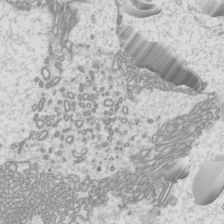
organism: Mouse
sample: Cilia; mouse epididymis